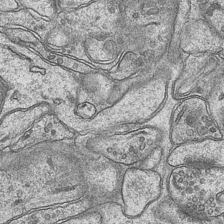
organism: Mouse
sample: CA1 Hippocampus